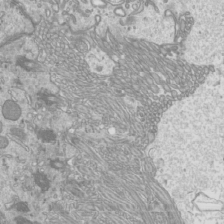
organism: Mouse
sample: Cilia; mouse epididymis